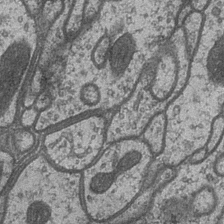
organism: Drosophila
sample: Optic medulla